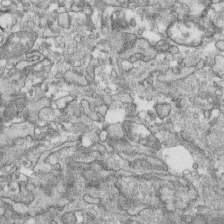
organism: Human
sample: CRL-1474